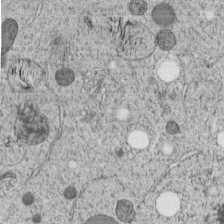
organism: C. elegans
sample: C. elegans embryo early stage